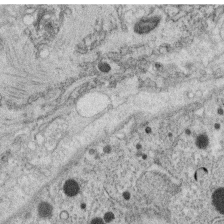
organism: C. elegans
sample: C. elegans oocyte; sperm cells